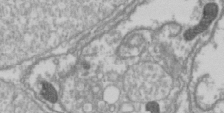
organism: Drosophila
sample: Cell division; meiosis; drosophila spermatocytes